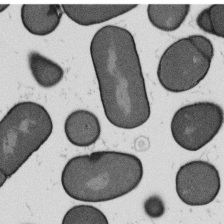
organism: B. subtilis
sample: Bacterial spore